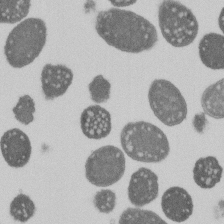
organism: E. coli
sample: Bacterial nucleoid